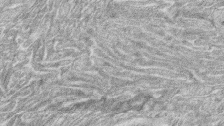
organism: Zebrafish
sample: synaptic ribbons in rod cells and cone cells